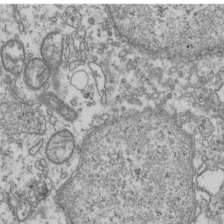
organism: Human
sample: Activated Jurkat CD4+ T cells